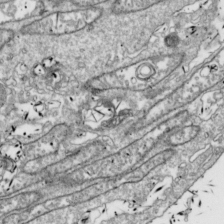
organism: Drosophila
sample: Cell division; meiosis; drosophila spermatocytes